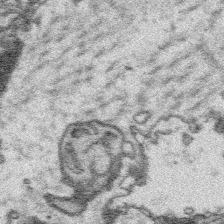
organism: Platynereis dumerilii